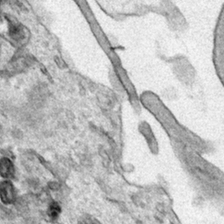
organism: Human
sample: Mitochondria in HCT116 cells